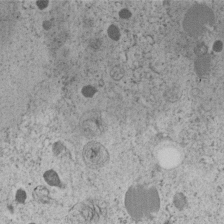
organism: C. elegans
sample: C. elegans embryo early stage